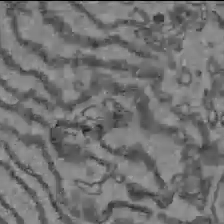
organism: C57BL Mouse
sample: Liver